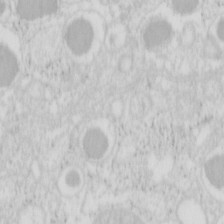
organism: Mouse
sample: Pancreas